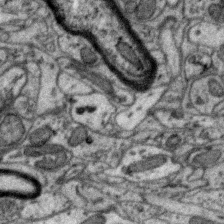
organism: Zebra finch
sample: Brain